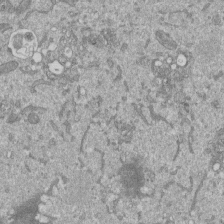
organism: Mouse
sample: ED-1 cell nuclei; centrioles